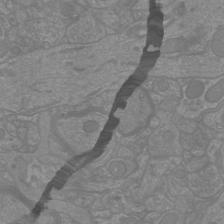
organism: Mouse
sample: Cortical neurons